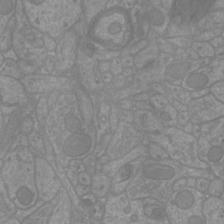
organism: Mouse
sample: Cortical neurons